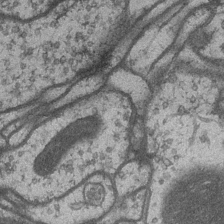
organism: Drosophila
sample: Optic medulla